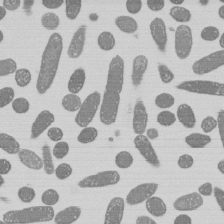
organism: E. coli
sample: Bacterial nucleoid